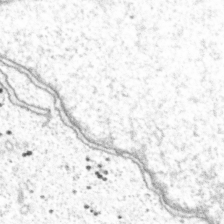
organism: Human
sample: HeLa cells